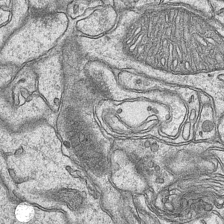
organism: Mouse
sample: CA1 Hippocampus